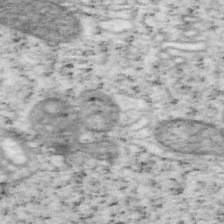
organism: Mouse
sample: OT-I killer T cells with ID8 ovarian cancer cells